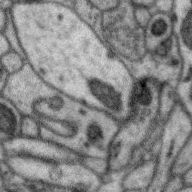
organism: Zebra finch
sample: Brain